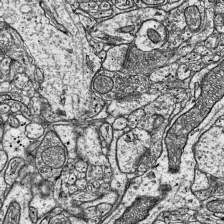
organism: Mouse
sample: Visual Cortex